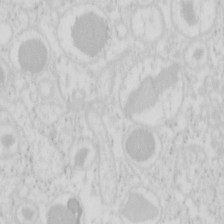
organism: Mouse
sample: Pancreas